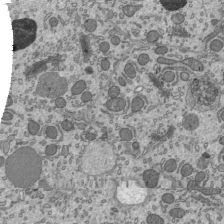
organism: Mouse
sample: Mouse epididymis efferent ductule cilia